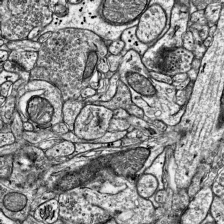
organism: Mouse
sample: Visual Cortex